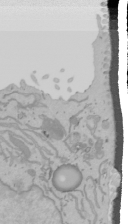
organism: Mouse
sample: Cancer cell death in ED-1 cells